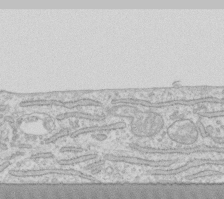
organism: Human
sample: Fibroblast cells